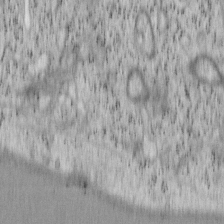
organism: Human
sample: HeLa cells